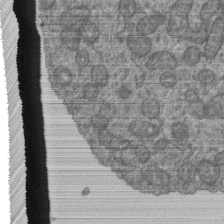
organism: Human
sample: Retinal organoid Rod and Cone cells